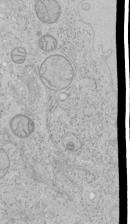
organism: Human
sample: Mitochondria in HCT116 cells